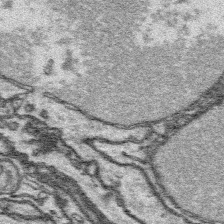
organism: Platynereis dumerilii